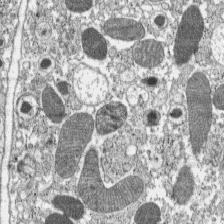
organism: C57BL Mouse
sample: Pancreatic islet